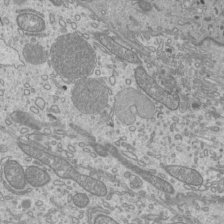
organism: Mouse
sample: Cilia; mouse epididymis